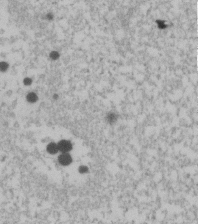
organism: Human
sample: U2-OS cells